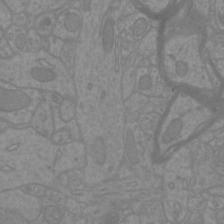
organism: Mouse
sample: Cortical neurons